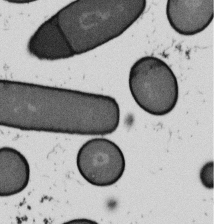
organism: B. subtilis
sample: Bacterial spore